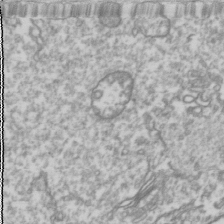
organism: Drosophila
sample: Cell division; meiosis; drosophila spermatocytes